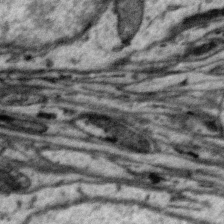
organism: Zebra finch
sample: Brain